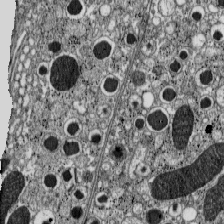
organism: C57BL Mouse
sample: Pancreatic islet